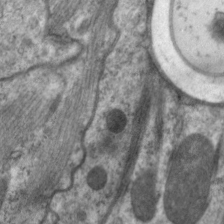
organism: C. elegans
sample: Pharynx